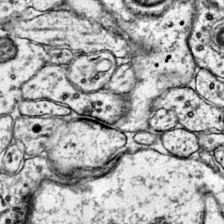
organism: Mouse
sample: Primary visual cortex